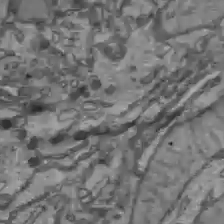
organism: C57BL Mouse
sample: Liver